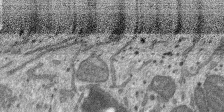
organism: Human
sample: Lung epithelial cells infected with SARS-CoV-2